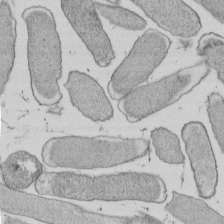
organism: E. coli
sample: Bacterial nucleoid